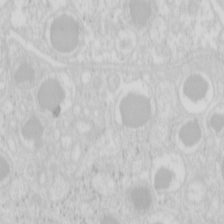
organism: Mouse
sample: Pancreas